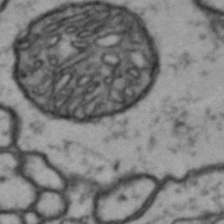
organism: Drosophila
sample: Brain